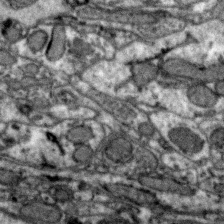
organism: Zebra finch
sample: Brain